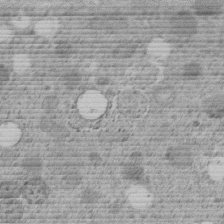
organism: C. elegans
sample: C. elegans embryo early stage